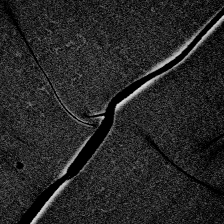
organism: Zebrafish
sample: Whole-Brain